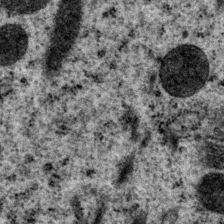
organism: P. pacificus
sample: Pharynx